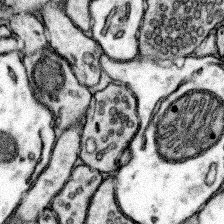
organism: Mouse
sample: Somatosensory cortex neuropil